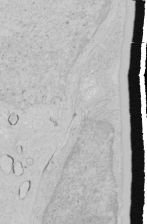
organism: Human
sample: Mitochondria in HCT116 cells